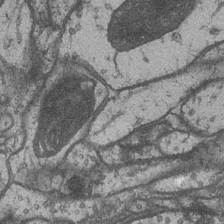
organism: Drosophila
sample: Optic medulla